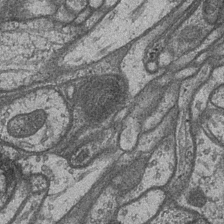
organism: Drosophila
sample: Optic medulla